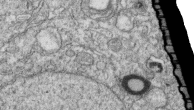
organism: Human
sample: HeLa cell HIV synapse